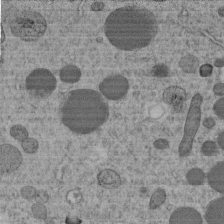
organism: C. elegans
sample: C. elegans embryo early stage